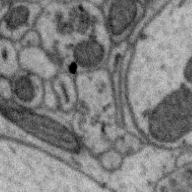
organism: Zebra finch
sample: Brain